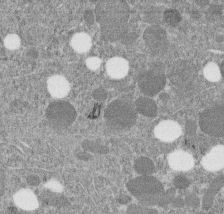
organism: C. elegans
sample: C. elegans embryo early stage